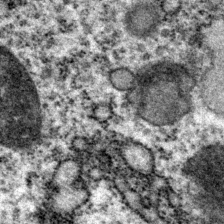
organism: P. pacificus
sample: Pharynx